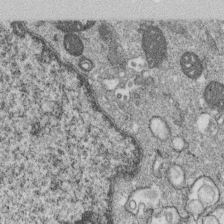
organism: African green monkey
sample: Vero E6 cells infected with SARS-CoV-2